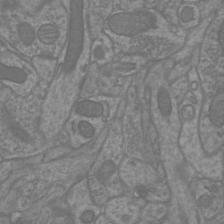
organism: Mouse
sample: Cortical neurons